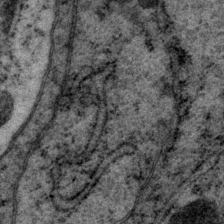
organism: P. pacificus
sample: Pharynx